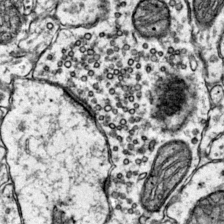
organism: Mouse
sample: Primary visual cortex